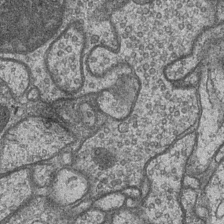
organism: Drosophila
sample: Optic medulla